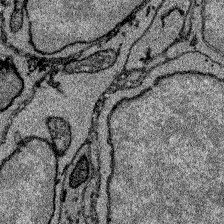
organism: Zebrafish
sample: Larval olfactory bulb